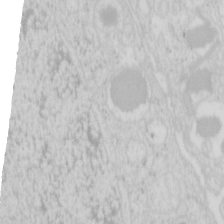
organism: Mouse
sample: Pancreas